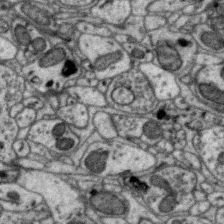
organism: Zebra finch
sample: Brain